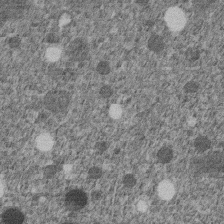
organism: C. elegans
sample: C. elegans embryo early stage